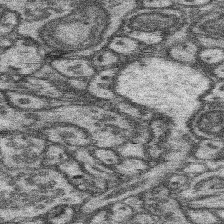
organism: Mouse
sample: Somatosensory cortex neuropil